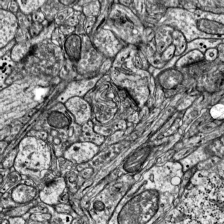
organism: Mouse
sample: Visual Cortex